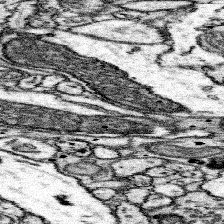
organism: Mouse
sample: Somatosensory cortex neuropil